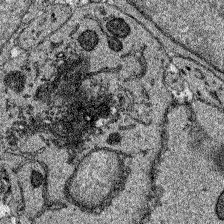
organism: Zebrafish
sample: Larval olfactory bulb